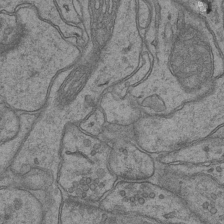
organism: Mouse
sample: CA1 Hippocampus